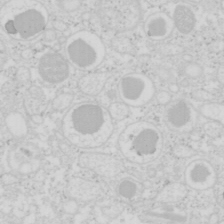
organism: Mouse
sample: Pancreas